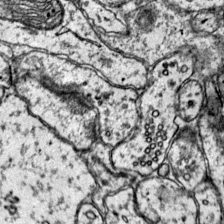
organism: Mouse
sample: Primary visual cortex